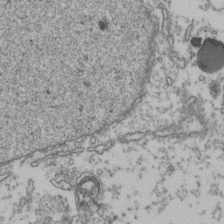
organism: Human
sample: Activated Jurkat CD4+ T cells